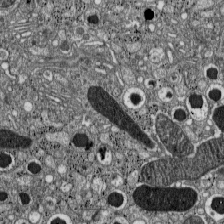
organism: C57BL Mouse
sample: Pancreatic islet